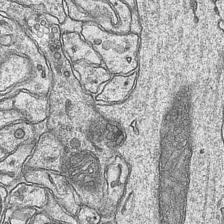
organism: Mouse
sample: CA1 Hippocampus